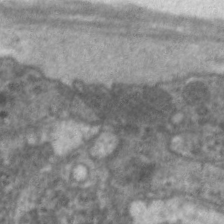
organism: C. elegans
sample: Pharynx